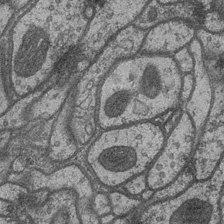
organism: Drosophila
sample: Optic medulla